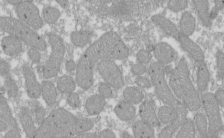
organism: Xenopus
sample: Cilia; centrioles in frog embryo cells